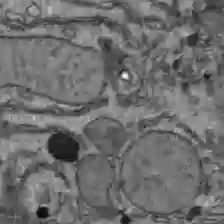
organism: C57BL Mouse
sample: Liver